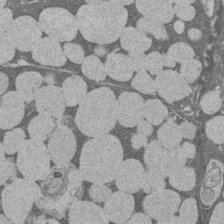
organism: Rat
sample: Salivary granule